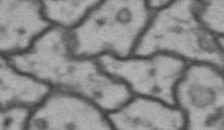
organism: Drosophila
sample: Brain